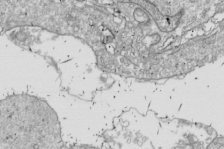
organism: Drosophila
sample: Cell division; meiosis; drosophila spermatocytes